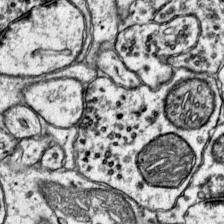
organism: Mouse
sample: Primary visual cortex